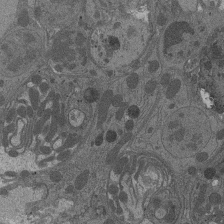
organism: Drosophila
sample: Antenna